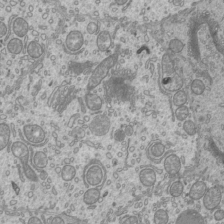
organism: Mouse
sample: Cilia; mouse epididymis